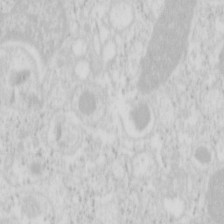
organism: Mouse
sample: Pancreas